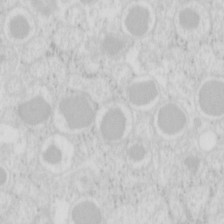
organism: Mouse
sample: Pancreas